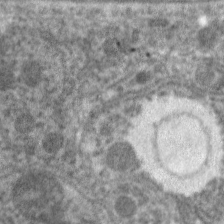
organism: C. elegans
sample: Pharynx